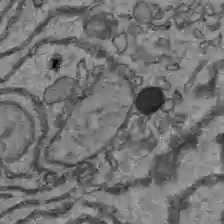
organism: C57BL Mouse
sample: Liver